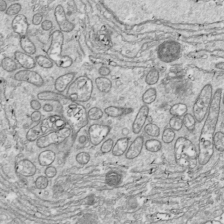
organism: Drosophila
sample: Cell division; meiosis; drosophila spermatocytes